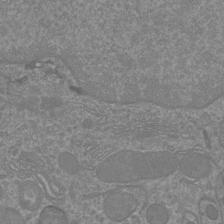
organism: Mouse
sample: Cortical neurons